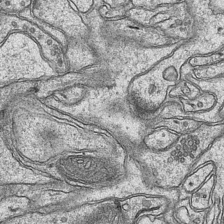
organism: Mouse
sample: CA1 Hippocampus